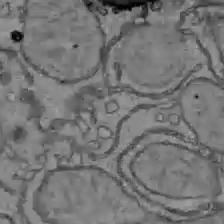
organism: C57BL Mouse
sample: Liver